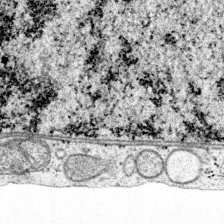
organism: Human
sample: HeLa cells